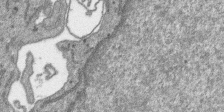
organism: Human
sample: Lung epithelial cells infected with SARS-CoV-2